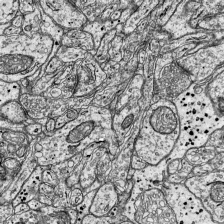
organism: Mouse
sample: Visual Cortex